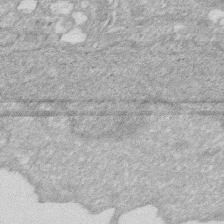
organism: Human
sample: HIV infected U937 cells